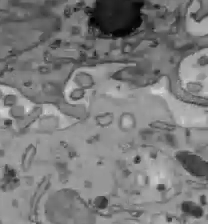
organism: C57BL Mouse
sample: Liver